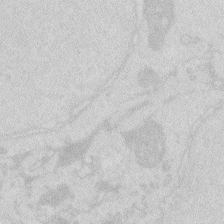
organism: Zebrafish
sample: Macrophage